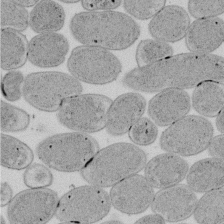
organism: E. coli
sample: Bacterial nucleoid